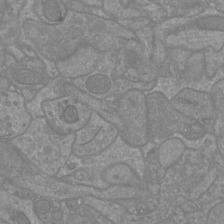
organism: Mouse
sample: Cortical neurons